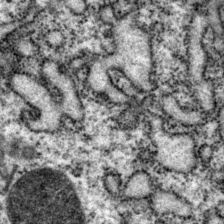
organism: P. pacificus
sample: Pharynx